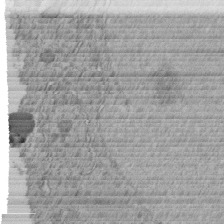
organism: C. elegans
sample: C. elegans embryo early stage